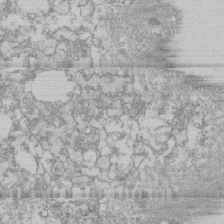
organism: Human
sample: CRL-1474